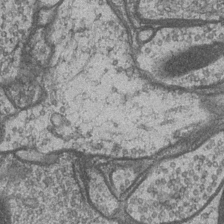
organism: Drosophila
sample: Optic medulla